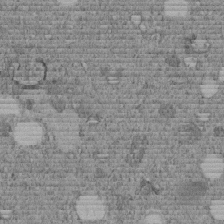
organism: C. elegans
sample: C. elegans embryo early stage